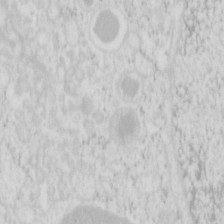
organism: Mouse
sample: Pancreas